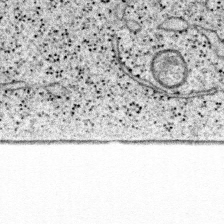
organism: Human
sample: HeLa cells